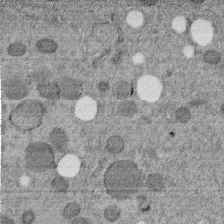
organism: C. elegans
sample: C. elegans embryo early stage